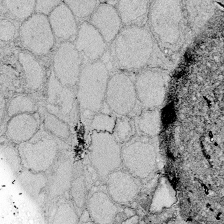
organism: Zebrafish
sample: Whole-Brain